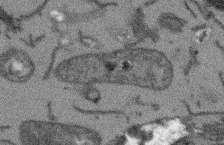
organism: Arabidopsis thaliana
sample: Root tip